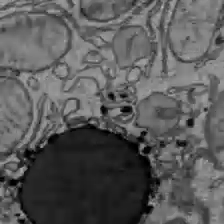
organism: C57BL Mouse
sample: Liver